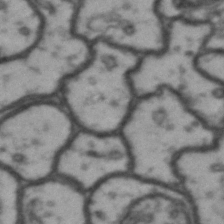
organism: Drosophila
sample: Brain